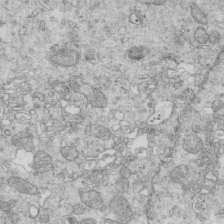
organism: Mouse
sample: Multiciliated cells